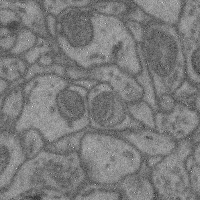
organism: Mouse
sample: Cerebral cortex